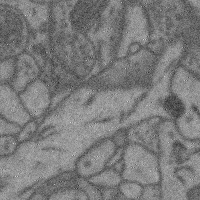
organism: Mouse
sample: Cerebral cortex